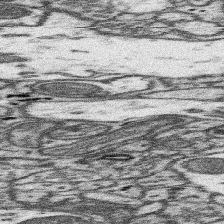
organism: Mouse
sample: Somatosensory cortex neuropil